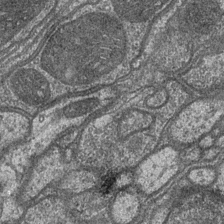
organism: Drosophila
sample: Optic medulla